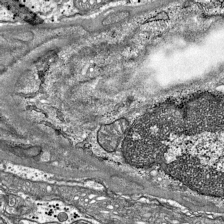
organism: Mouse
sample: Visual Cortex